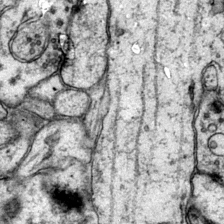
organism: Mouse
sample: Primary visual cortex